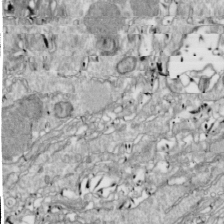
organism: Drosophila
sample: Cell division; meiosis; drosophila spermatocytes